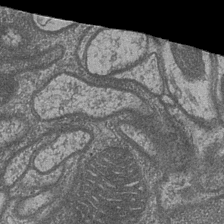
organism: Drosophila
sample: Optic medulla